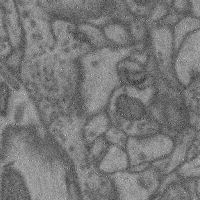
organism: Mouse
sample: Cerebral cortex